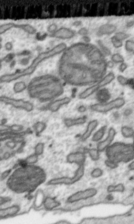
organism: Toxoplasma gondii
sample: Parasites in a vacuole inside a host cell